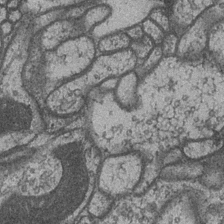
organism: Drosophila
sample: Optic medulla